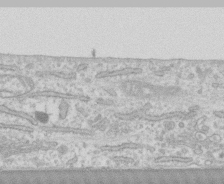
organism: Human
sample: CRL-1474